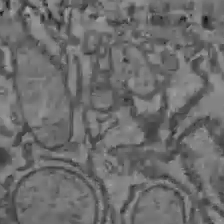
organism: C57BL Mouse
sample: Liver